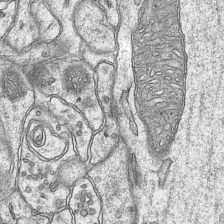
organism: Mouse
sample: CA1 Hippocampus